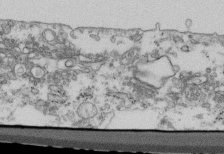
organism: Mouse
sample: Cilia; retinal pigment epithelium